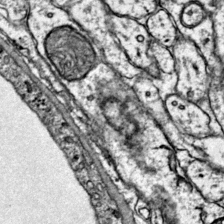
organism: Mouse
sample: Primary visual cortex